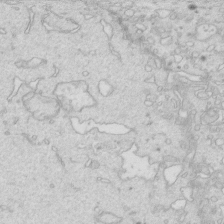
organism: Mouse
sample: Multiciliated cells